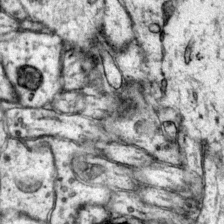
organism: Mouse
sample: Primary visual cortex